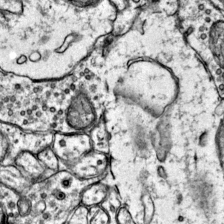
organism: Mouse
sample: Primary visual cortex